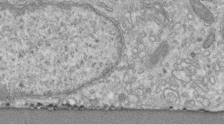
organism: Human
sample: Centriole in fibroblast cells